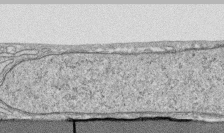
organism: Human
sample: CRL-1474